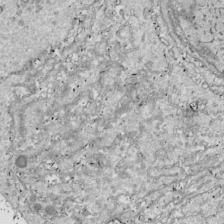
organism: Drosophila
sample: Cell division; meiosis; drosophila spermatocytes